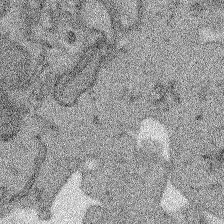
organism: Human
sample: HeLa cells